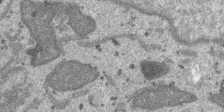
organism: Human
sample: Lung epithelial cells infected with SARS-CoV-2